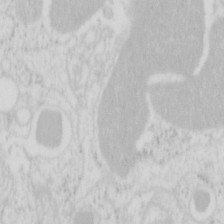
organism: Mouse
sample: Pancreas